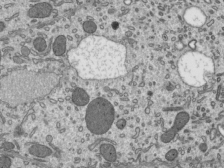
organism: Mouse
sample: Mouse epididymis efferent ductule cilia